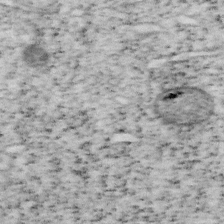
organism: Mouse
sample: OT-I killer T cells with ID8 ovarian cancer cells